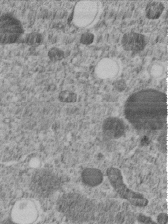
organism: C. elegans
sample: C. elegans embryo early stage